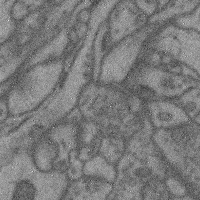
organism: Mouse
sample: Cerebral cortex